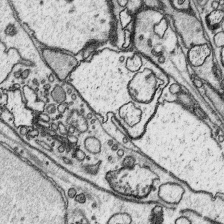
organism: Platynereis dumerilii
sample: Parapodia